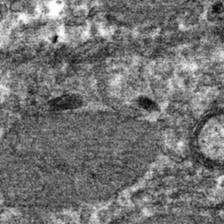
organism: Mouse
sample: Mouse hepatocytes